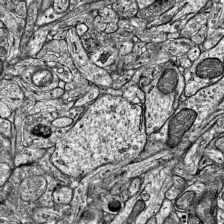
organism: Mouse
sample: Visual Cortex